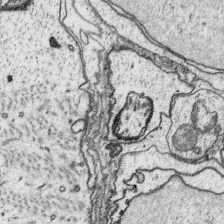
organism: Platynereis dumerilii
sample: Parapodia